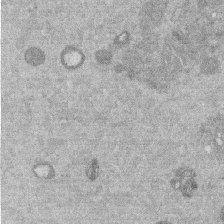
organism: Mouse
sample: Dividing mouse embryo 1 cell stage